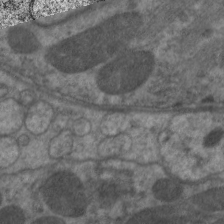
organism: C. elegans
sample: Pharynx